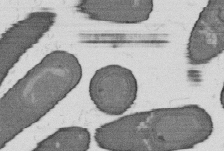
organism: B. subtilis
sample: Bacterial spore